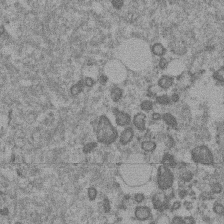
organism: Mouse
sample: Dividing mouse embryo 1 cell stage